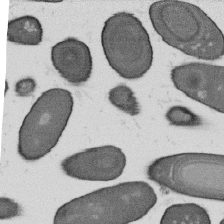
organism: B. subtilis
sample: Bacterial spore